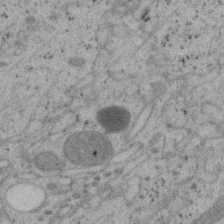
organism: Human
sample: HeLa cells